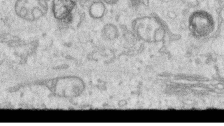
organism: Human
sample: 1205lu cells